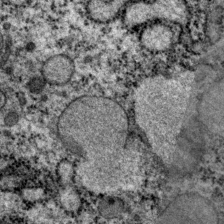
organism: P. pacificus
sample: Pharynx